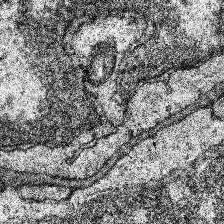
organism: Human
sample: Temporal Lobe